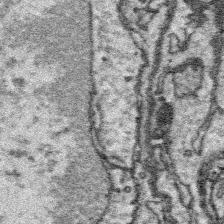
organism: Platynereis dumerilii